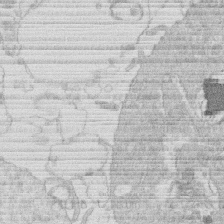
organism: Human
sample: Macrophage cells